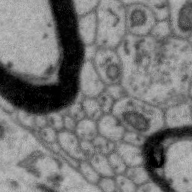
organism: Zebra finch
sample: Brain